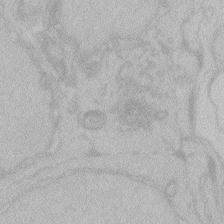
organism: Zebrafish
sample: Macrophage infected with Toxoplasma gondii